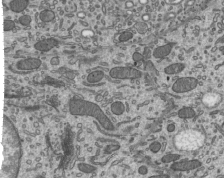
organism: Mouse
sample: Mouse epididymis efferent ductule cilia